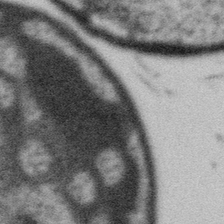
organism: Gemmata obscuriglobus